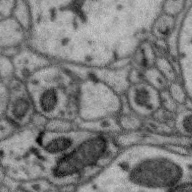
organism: Zebra finch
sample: Brain